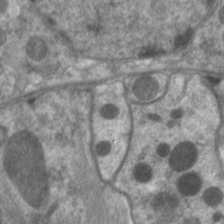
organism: C. elegans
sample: Pharynx